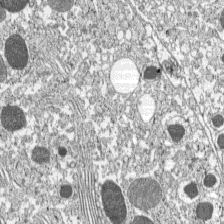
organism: C57BL Mouse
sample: Pancreatic islet